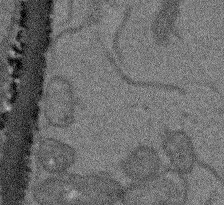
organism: Arabidopsis thaliana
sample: Root tip